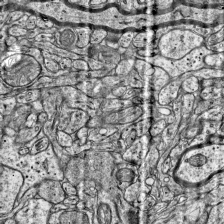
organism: Mouse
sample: Visual Cortex